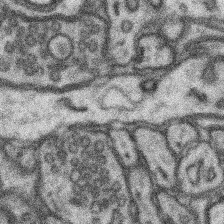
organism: Mouse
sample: Somatosensory cortex neuropil